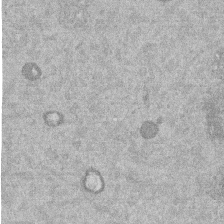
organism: Mouse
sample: Dividing mouse embryo 1 cell stage